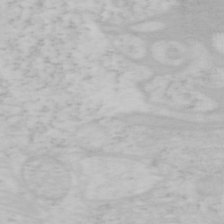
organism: Mouse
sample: OT-I killer T cells with ID8 ovarian cancer cells